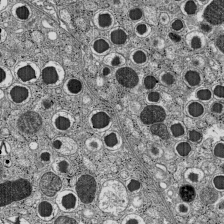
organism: C57BL Mouse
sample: Pancreatic islet